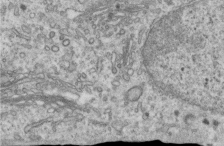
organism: Human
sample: Centriole in RPE cells